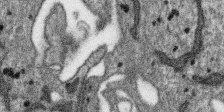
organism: Human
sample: Lung epithelial cells infected with SARS-CoV-2